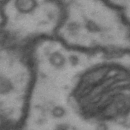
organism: Drosophila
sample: Brain